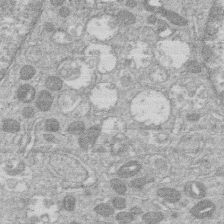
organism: Human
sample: Macrophage cells